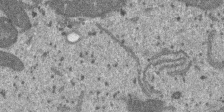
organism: Human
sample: Lung epithelial cells infected with SARS-CoV-2